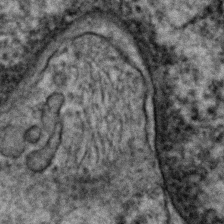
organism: Human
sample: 1205lu cells